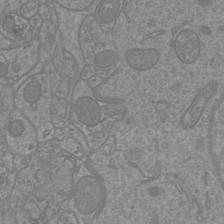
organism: Mouse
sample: Cortical neurons